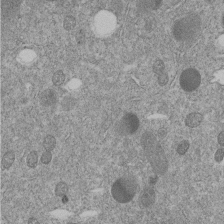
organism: C. elegans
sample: C. elegans embryo early stage